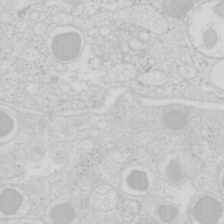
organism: Mouse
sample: Pancreas